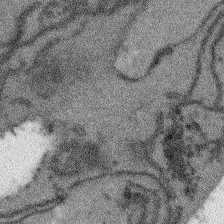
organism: Arabidopsis thaliana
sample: Root tip